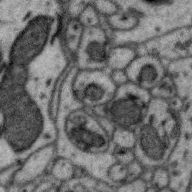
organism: Zebra finch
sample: Brain